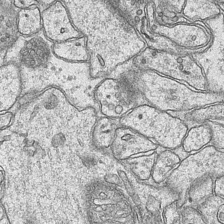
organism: Mouse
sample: CA1 Hippocampus